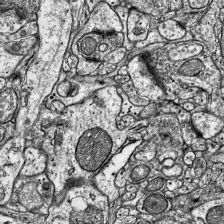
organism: Mouse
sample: Visual Cortex